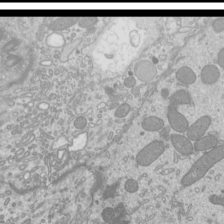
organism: Mouse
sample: Cilia; mouse epididymis